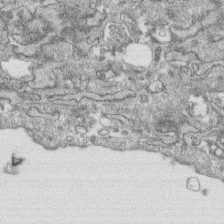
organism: Human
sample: CRL-1474